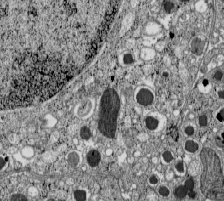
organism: C57BL Mouse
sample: Pancreatic islet